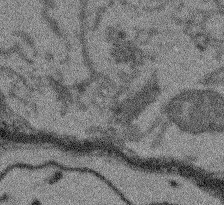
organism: Arabidopsis thaliana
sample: Root tip